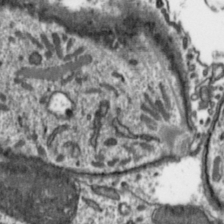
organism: Toxoplasma gondii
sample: Parasites in a vacuole inside a host cell